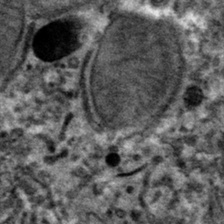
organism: Mouse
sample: Mouse hepatocytes